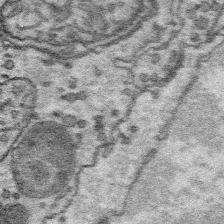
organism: Platynereis dumerilii